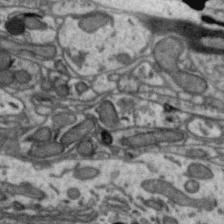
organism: Zebra finch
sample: Brain